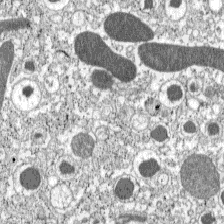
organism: C57BL Mouse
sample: Pancreatic islet